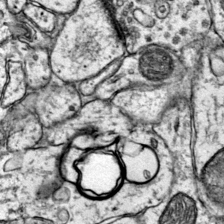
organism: Mouse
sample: Primary visual cortex